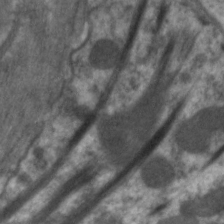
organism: C. elegans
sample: Pharynx